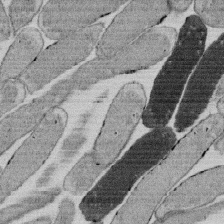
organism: E. coli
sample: Bacterial nucleoid